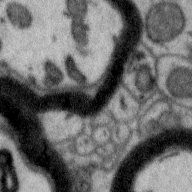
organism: Zebra finch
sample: Brain